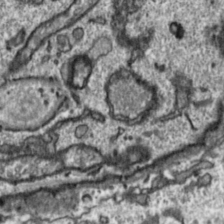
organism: Toxoplasma gondii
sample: Parasites in a vacuole inside a host cell